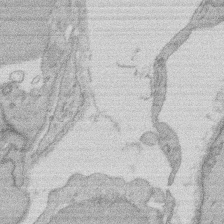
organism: Rat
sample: Salivary granule